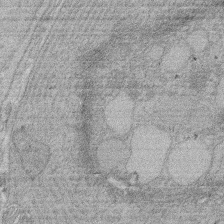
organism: Rat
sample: Salivary granule